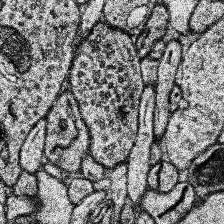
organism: Human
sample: Temporal Lobe